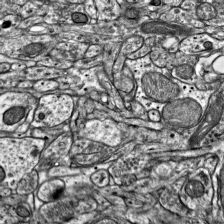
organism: Mouse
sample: Visual Cortex